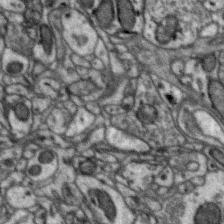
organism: Zebra finch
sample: Brain